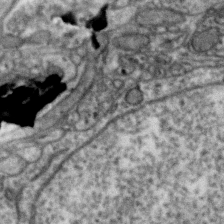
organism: Zebra finch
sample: Brain